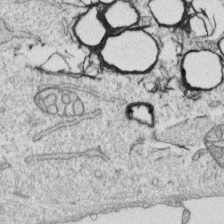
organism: Human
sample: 1205lu cells